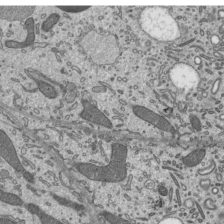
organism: Mouse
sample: Mouse epididymis efferent ductule cilia